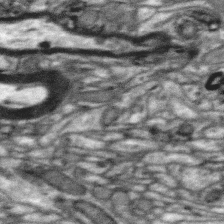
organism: Zebra finch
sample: Brain